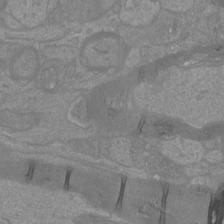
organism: Mouse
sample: Cortical neurons